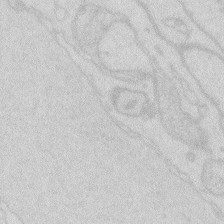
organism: Zebrafish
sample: Macrophage